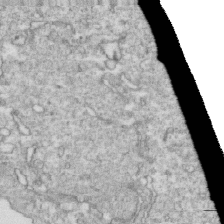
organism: Mouse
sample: Activated OT-1 CD8+ T cells